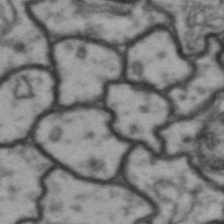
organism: Drosophila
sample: Brain